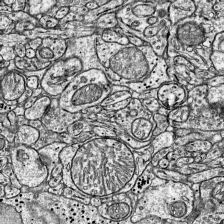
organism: Mouse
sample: Visual Cortex